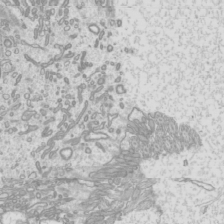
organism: Mouse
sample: Cilia; mouse epididymis